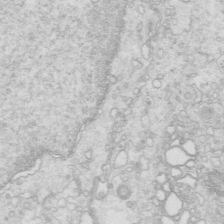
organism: Mouse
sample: Multiciliated cells